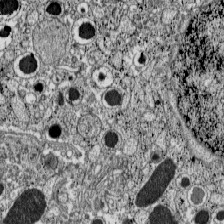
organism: C57BL Mouse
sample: Pancreatic islet